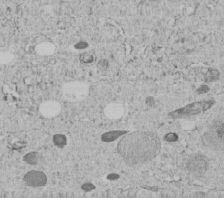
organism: C. elegans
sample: C. elegans embryo early stage